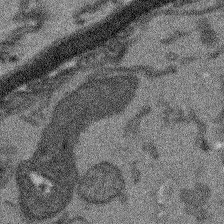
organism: Arabidopsis thaliana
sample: Root tip